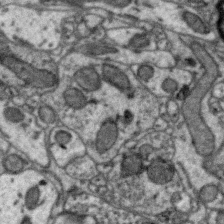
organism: Zebra finch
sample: Brain